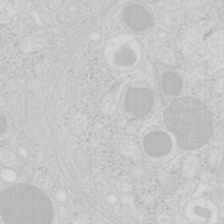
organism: Mouse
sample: Pancreas